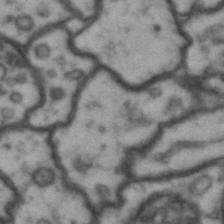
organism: Drosophila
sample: Brain